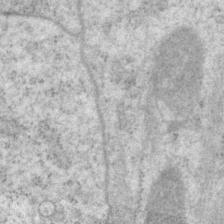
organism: P. pacificus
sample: Pharynx